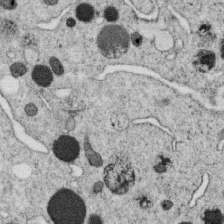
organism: C. elegans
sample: C. elegans oocyte; sperm cells